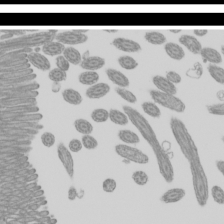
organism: Mouse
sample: Cilia; mouse epididymis